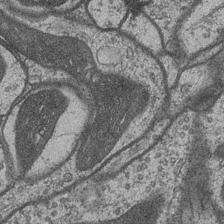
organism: Drosophila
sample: Optic medulla